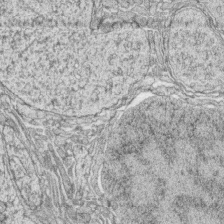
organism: Zebrafish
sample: synaptic ribbons in rod cells and cone cells